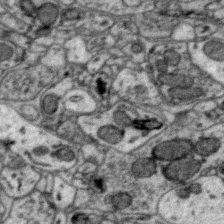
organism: Zebra finch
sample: Brain